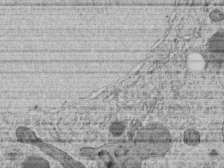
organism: C. elegans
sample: C. elegans embryo early stage